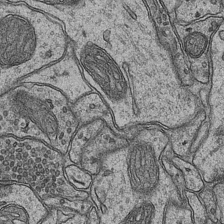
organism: Mouse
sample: CA1 Hippocampus